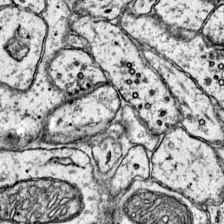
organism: Mouse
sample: Primary visual cortex